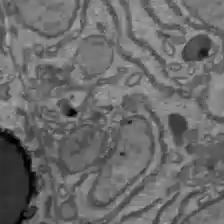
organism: C57BL Mouse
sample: Liver